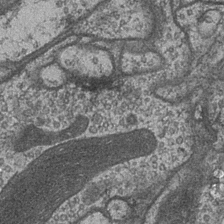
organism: Drosophila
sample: Optic medulla